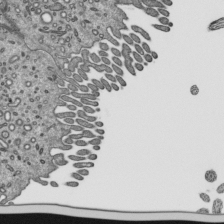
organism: Mouse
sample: Mouse epididymis efferent ductule cilia